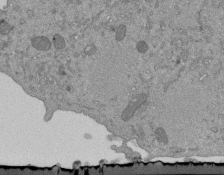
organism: Mouse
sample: ED-1 cell nuclei; centrioles